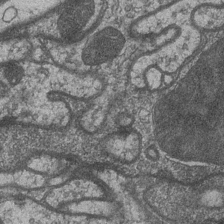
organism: Drosophila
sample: Optic medulla